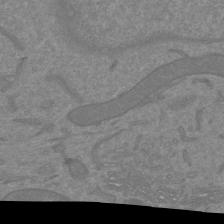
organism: Mouse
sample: Cortical neurons